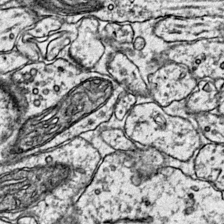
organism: Mouse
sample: Primary visual cortex